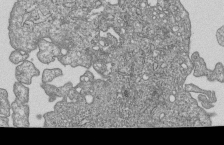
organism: Human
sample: MDA-MB-231 cells